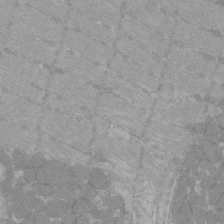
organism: C57BL Mouse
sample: Tibialis anterior muscle cell